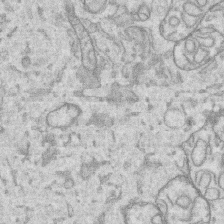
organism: Human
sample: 1205lu cells